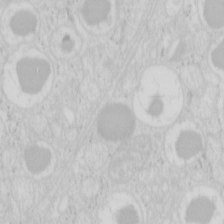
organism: Mouse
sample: Pancreas